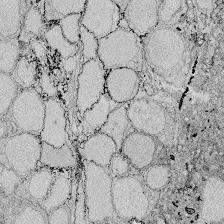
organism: Zebrafish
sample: Whole-Brain